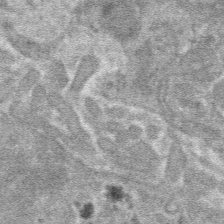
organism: Mouse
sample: Mouse hepatocytes